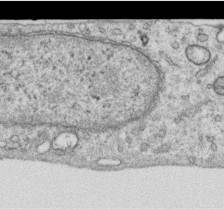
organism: Human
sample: Centriole in RPE cells